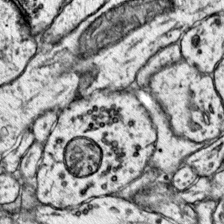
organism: Mouse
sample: Primary visual cortex